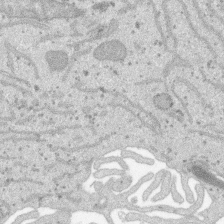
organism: Human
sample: Lung epithelial cells infected with SARS-CoV-2